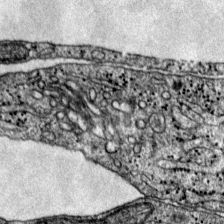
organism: Mouse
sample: Primary visual cortex